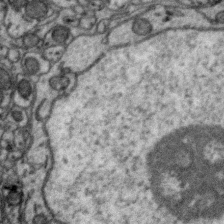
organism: Zebra finch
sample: Brain